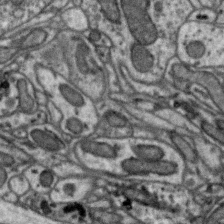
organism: Zebra finch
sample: Brain